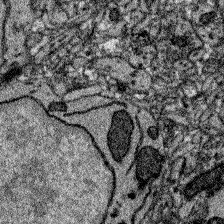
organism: Zebrafish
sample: Larval olfactory bulb